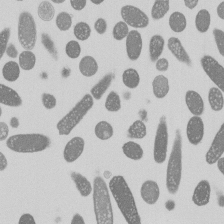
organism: E. coli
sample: Bacterial nucleoid